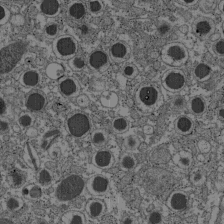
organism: C57BL Mouse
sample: Pancreatic islet